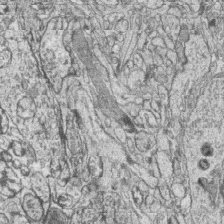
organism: Zebrafish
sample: synaptic ribbons in rod cells and cone cells